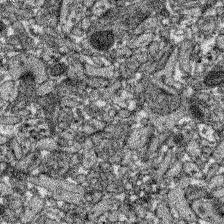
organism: Zebrafish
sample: Larval olfactory bulb